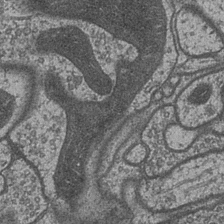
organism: Drosophila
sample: Optic medulla